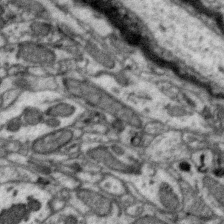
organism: Zebra finch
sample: Brain